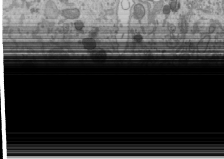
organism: Human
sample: Mitochondria in U2OS cells